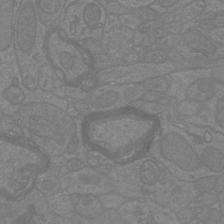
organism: Mouse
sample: Cortical neurons